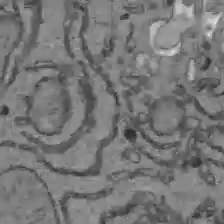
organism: C57BL Mouse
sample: Liver